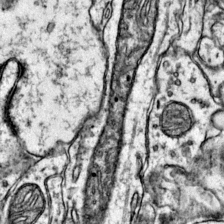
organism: Mouse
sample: Primary visual cortex